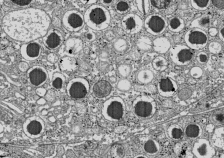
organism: C57BL Mouse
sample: Pancreatic islet